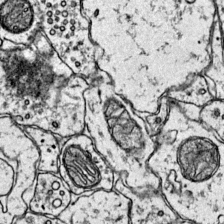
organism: Mouse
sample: Primary visual cortex